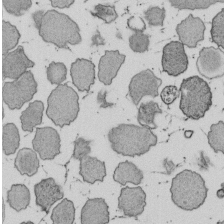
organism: E. coli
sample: Bacterial nucleoid